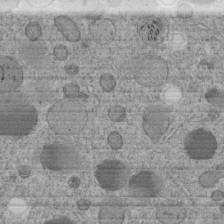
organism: C. elegans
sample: C. elegans embryo early stage